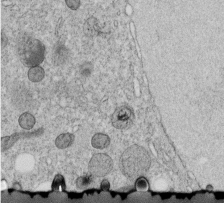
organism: C. elegans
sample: C. elegans embryo early stage